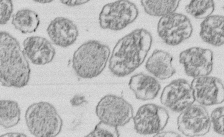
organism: E. coli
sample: Bacterial nucleoid